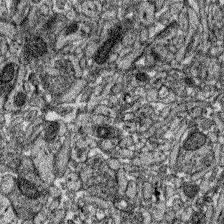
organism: Zebrafish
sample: Larval olfactory bulb